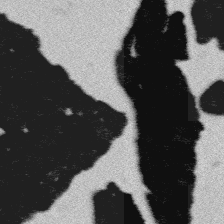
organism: Platynereis dumerilii